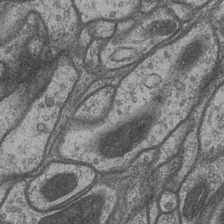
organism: Drosophila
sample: Optic medulla